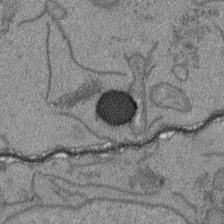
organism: Arabidopsis thaliana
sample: Root tip